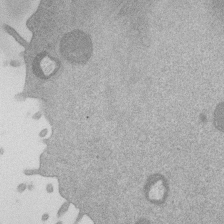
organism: Mouse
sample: Dividing mouse embryo 1 cell stage